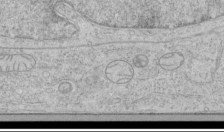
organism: Human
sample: Mitochondria in HCT116 cells